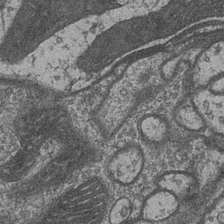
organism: Drosophila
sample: Optic medulla